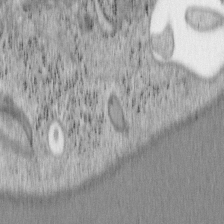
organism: Human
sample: HeLa cells